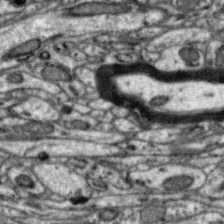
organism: Zebra finch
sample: Brain